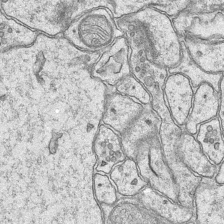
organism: Mouse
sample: CA1 Hippocampus